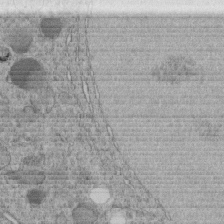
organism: C. elegans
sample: C. elegans embryo early stage